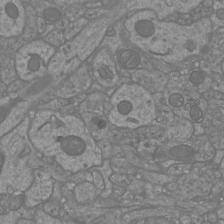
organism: Mouse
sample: Cortical neurons